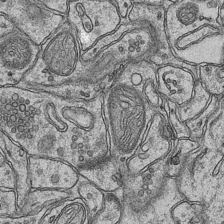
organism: Mouse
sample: CA1 Hippocampus